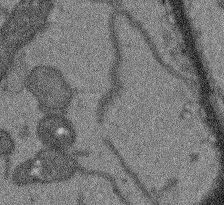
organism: Arabidopsis thaliana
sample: Root tip